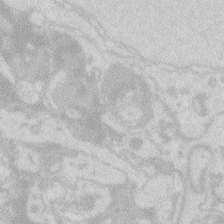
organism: Zebrafish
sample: Macrophage